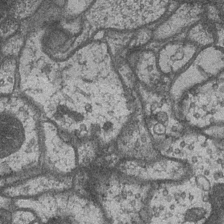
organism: Drosophila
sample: Optic medulla